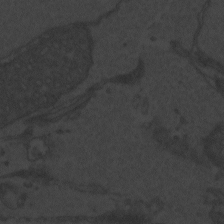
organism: Zebrafish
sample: Macrophage infected with Toxoplasma gondii